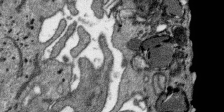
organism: Human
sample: Lung epithelial cells, uninfected (mock) control